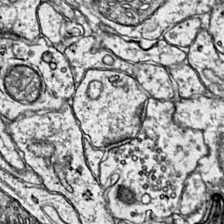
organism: Mouse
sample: Primary visual cortex